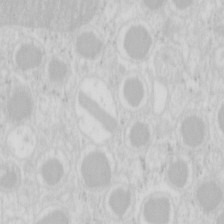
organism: Mouse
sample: Pancreas